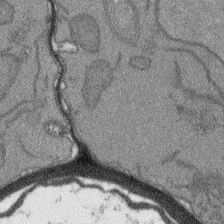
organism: Arabidopsis thaliana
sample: Root tip